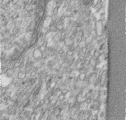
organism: Human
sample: Centriole in RPE cells